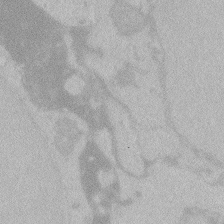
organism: Zebrafish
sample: Macrophage infected with Toxoplasma gondii